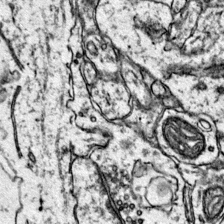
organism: Mouse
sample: Primary visual cortex